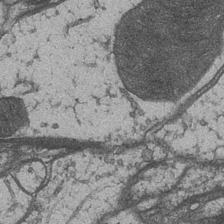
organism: Drosophila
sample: Optic medulla